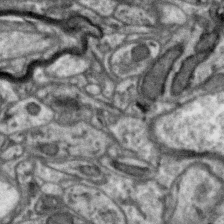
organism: Zebra finch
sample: Brain